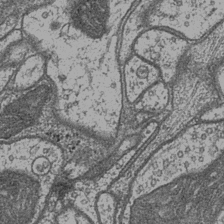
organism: Drosophila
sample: Optic medulla